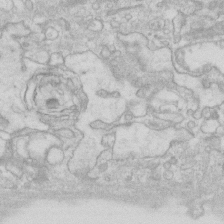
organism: Human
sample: Fibroblast cells